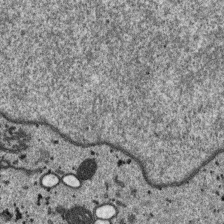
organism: Human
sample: Lung epithelial cells infected with SARS-CoV-2